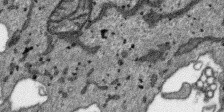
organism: Human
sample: Lung epithelial cells, uninfected (mock) control